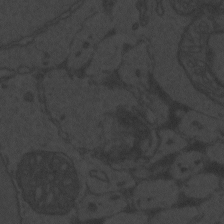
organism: Zebrafish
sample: Macrophage infected with Toxoplasma gondii